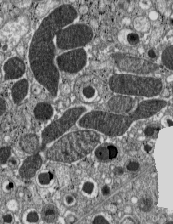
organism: C57BL Mouse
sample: Pancreatic islet